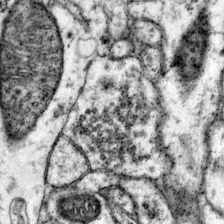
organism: Mouse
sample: Primary visual cortex